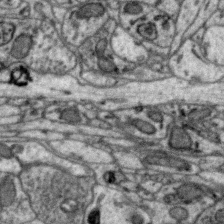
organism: Zebra finch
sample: Brain